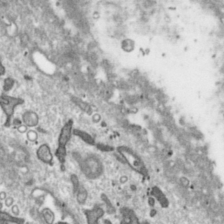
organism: Toxoplasma gondii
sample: Parasites in a vacuole inside a host cell